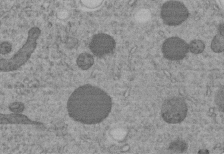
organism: C. elegans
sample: C. elegans embryo early stage